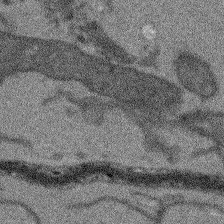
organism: Arabidopsis thaliana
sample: Root tip